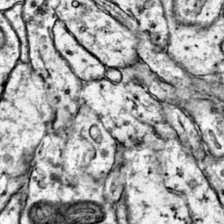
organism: Mouse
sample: Primary visual cortex